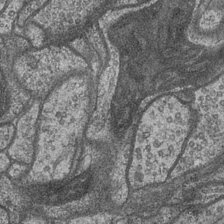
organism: Drosophila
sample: Optic medulla